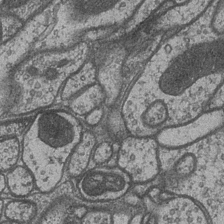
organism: Drosophila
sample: Optic medulla